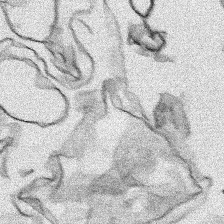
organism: Human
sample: Mitochondria in HCT116 cells